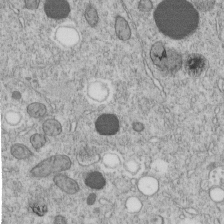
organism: C. elegans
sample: C. elegans embryo early stage